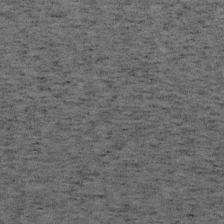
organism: Mouse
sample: OT-I killer T cells with ID8 ovarian cancer cells